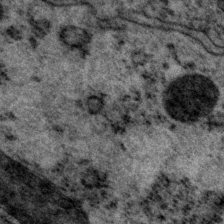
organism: P. pacificus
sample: Pharynx